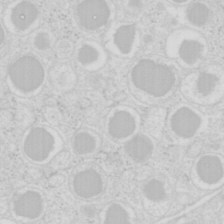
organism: Mouse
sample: Pancreas